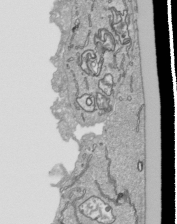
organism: Human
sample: Mitochondria in HCT116 cells